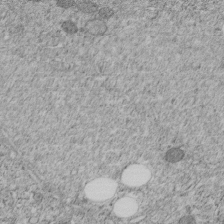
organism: C. elegans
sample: C. elegans embryo early stage